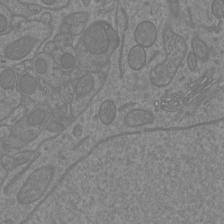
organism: Mouse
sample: Cortical neurons